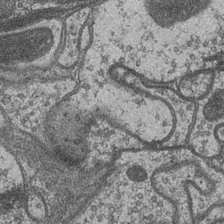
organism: Drosophila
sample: Optic medulla